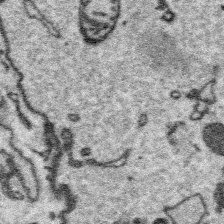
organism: Platynereis dumerilii